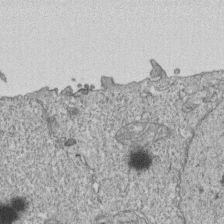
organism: Human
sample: HeLa cell HIV synapse